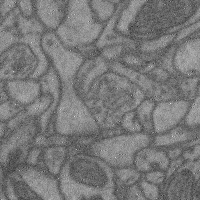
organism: Mouse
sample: Cerebral cortex